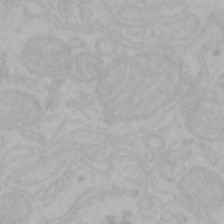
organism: Mouse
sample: Choroid plexus